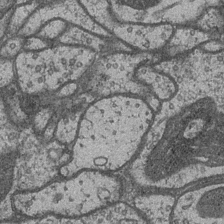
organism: Drosophila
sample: Optic medulla